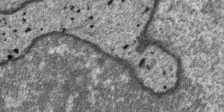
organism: Human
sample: Lung epithelial cells, uninfected (mock) control